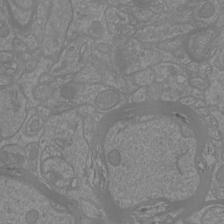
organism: Mouse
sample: Cortical neurons